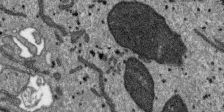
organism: Human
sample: Lung epithelial cells, uninfected (mock) control